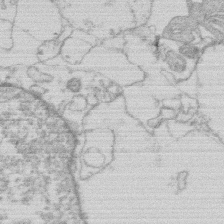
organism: Human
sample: Macrophage cells